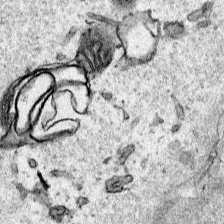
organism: Human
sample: Mitochondria in HCT116 cells